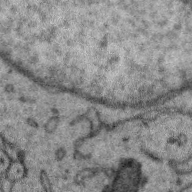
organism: Zebra finch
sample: Brain